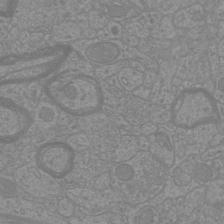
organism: Mouse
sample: Cortical neurons